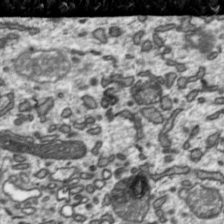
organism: Toxoplasma gondii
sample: Parasites in a vacuole inside a host cell